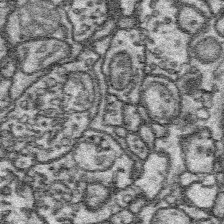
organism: Platynereis dumerilii